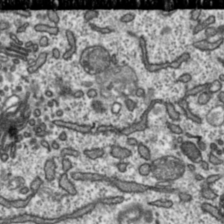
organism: Toxoplasma gondii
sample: Parasites in a vacuole inside a host cell